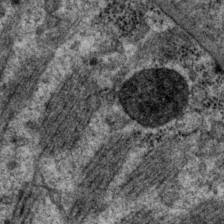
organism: P. pacificus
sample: Pharynx